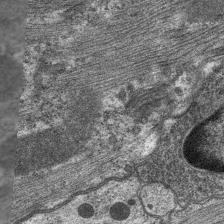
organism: C. elegans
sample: Pharynx